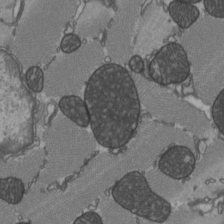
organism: C57BL Mouse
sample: Heart